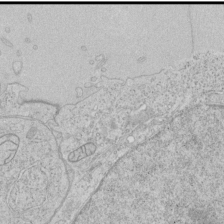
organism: Human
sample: Mitochondria in HCT116 cells